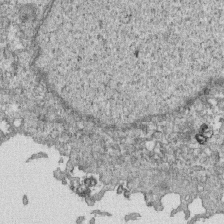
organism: Human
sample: HeLa cell HIV synapse